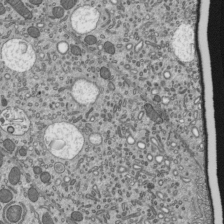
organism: Mouse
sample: Mouse epididymis efferent ductule cilia